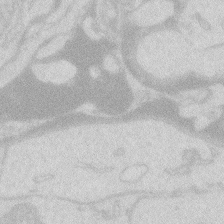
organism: Zebrafish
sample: Macrophage